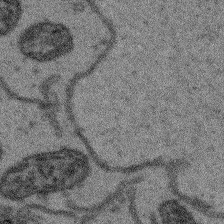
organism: Arabidopsis thaliana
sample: Root tip